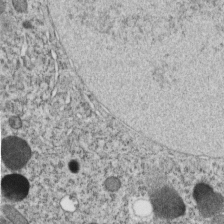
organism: C. elegans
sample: C. elegans embryo early stage